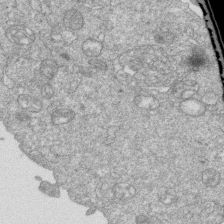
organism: Human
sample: HeLa cell HIV synapse